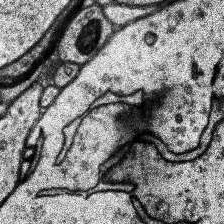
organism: Human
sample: Temporal Lobe